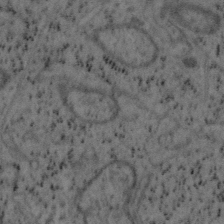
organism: Human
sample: HeLa cells